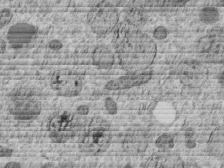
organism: C. elegans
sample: C. elegans embryo early stage